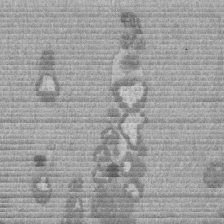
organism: Mouse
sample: Dividing mouse embryo 1 cell stage